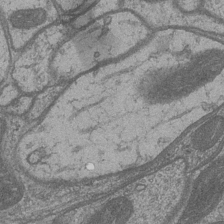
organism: Drosophila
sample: Optic medulla